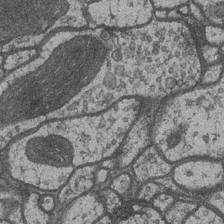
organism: Drosophila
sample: Optic medulla